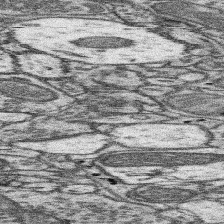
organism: Mouse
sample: Somatosensory cortex neuropil